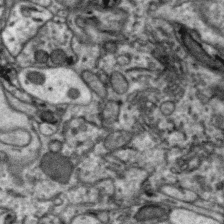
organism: Zebra finch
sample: Brain